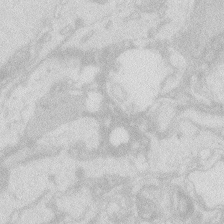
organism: Zebrafish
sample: Macrophage